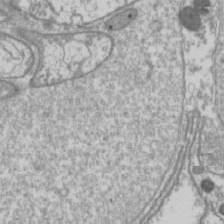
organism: Drosophila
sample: Cell division; meiosis; drosophila spermatocytes